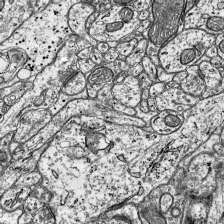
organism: Mouse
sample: Visual Cortex